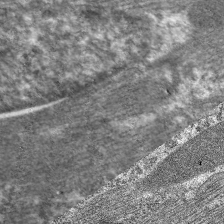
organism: C. elegans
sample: Pharynx